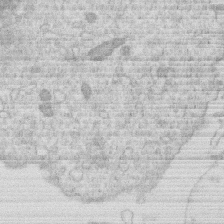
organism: Human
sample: Macrophage cells